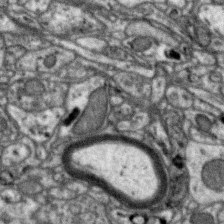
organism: Zebra finch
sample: Brain